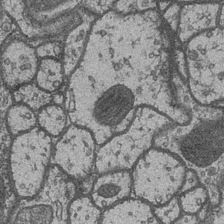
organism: Drosophila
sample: Optic medulla